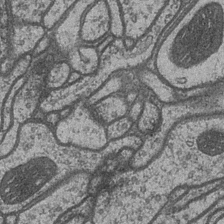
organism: Drosophila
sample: Optic medulla